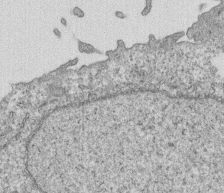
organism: Human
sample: HeLa cell HIV synapse